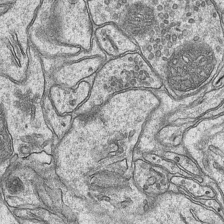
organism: Mouse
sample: CA1 Hippocampus